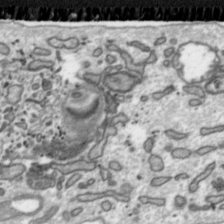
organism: Toxoplasma gondii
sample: Parasites in a vacuole inside a host cell